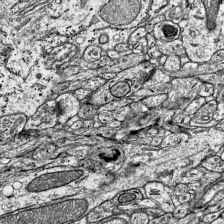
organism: Mouse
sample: Visual Cortex